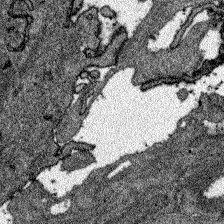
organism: Zebrafish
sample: Larval olfactory bulb